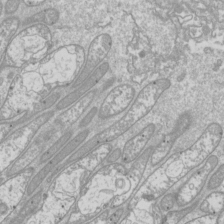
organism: Drosophila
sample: Cell division; meiosis; drosophila spermatocytes